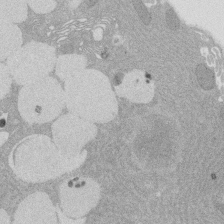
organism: Rat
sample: Salivary granule